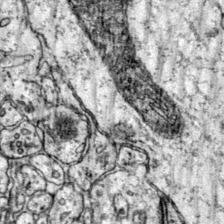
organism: Mouse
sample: Primary visual cortex